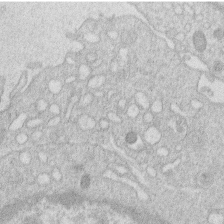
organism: Human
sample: Macrophage cells